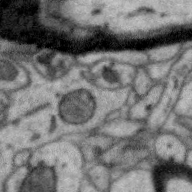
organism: Zebra finch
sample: Brain